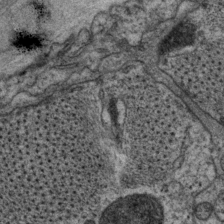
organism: P. pacificus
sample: Pharynx